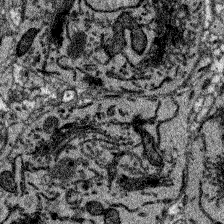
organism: Zebrafish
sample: Larval olfactory bulb